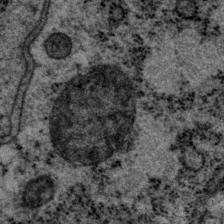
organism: P. pacificus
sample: Pharynx